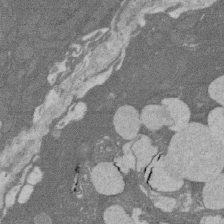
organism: Rat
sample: Salivary granule